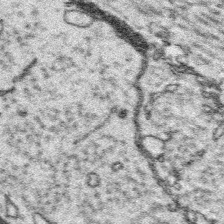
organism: Platynereis dumerilii